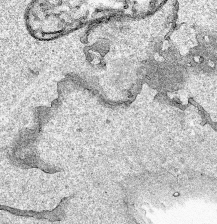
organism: Human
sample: Mitochondria in HCT116 cells